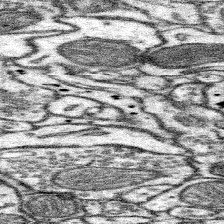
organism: Mouse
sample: Somatosensory cortex neuropil